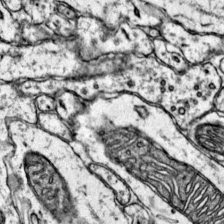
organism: Mouse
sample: Primary visual cortex